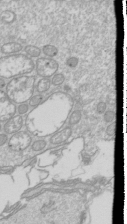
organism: Drosophila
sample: Cell division; meiosis; drosophila spermatocytes